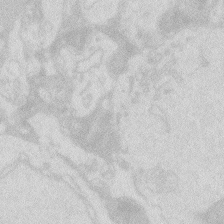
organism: Zebrafish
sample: Macrophage